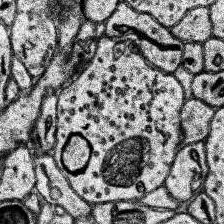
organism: Human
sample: Temporal Lobe